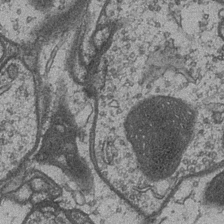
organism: Drosophila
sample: Optic medulla